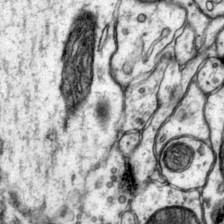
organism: Mouse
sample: Primary visual cortex